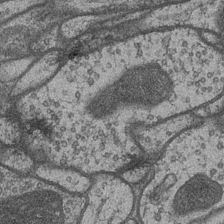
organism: Drosophila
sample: Optic medulla